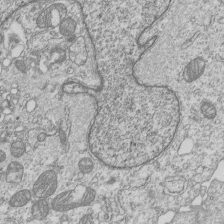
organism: Human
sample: MDA-MB-231 cells